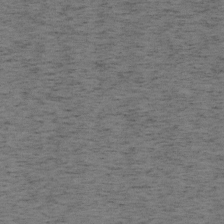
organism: Mouse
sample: OT-I killer T cells with ID8 ovarian cancer cells